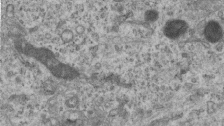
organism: Mouse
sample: Centriole in ependymal cells